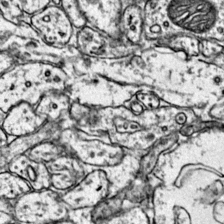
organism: Mouse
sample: Primary visual cortex